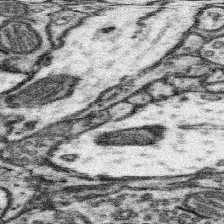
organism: Mouse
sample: Somatosensory cortex neuropil